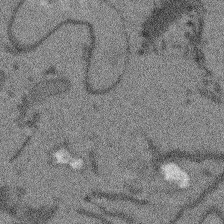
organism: Arabidopsis thaliana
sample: Root tip